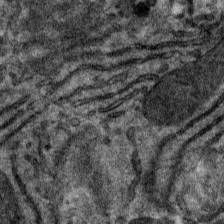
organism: Mouse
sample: Mouse hepatocytes